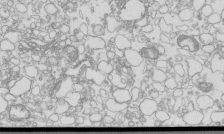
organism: Mouse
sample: Macrophages